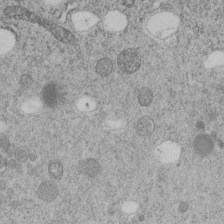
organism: C. elegans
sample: C. elegans embryo early stage